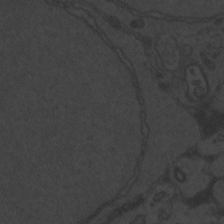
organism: Zebrafish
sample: Macrophage infected with Toxoplasma gondii